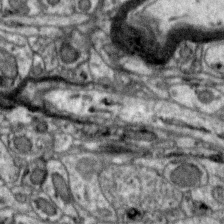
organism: Zebra finch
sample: Brain